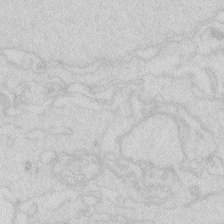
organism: Zebrafish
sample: Macrophage